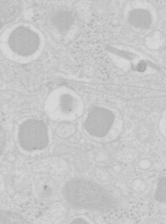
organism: Mouse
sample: Pancreas